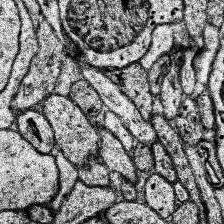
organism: Human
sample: Temporal Lobe